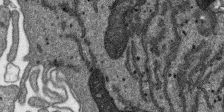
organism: Human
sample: Lung epithelial cells infected with SARS-CoV-2